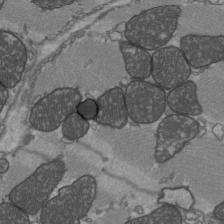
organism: C57BL Mouse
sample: Heart